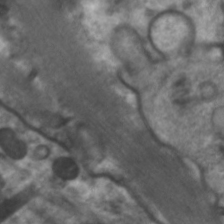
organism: C. elegans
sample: Pharynx